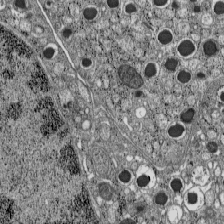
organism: C57BL Mouse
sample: Pancreatic islet